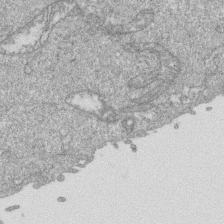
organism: Human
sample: HeLa cell HIV synapse